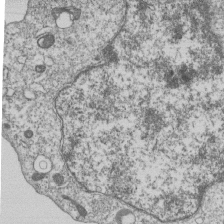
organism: Human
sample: MDA-MB-231 cells